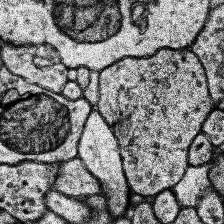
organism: Human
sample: Temporal Lobe